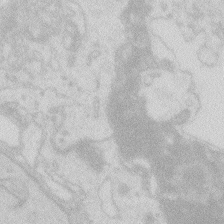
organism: Zebrafish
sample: Macrophage